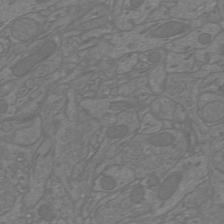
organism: Mouse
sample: Cortical neurons